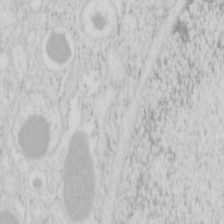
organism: Mouse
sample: Pancreas